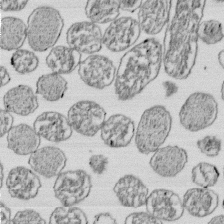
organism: E. coli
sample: Bacterial nucleoid